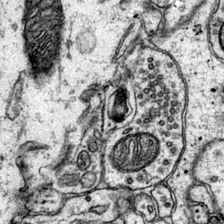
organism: Mouse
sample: Primary visual cortex